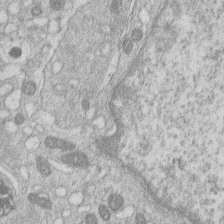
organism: Human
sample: Macrophage cells